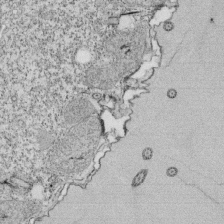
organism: Tetrahymena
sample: Cilia in tetrahymena